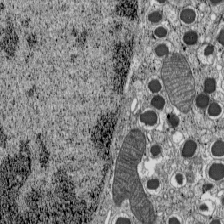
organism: C57BL Mouse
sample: Pancreatic islet